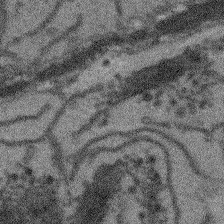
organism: Arabidopsis thaliana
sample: Root tip